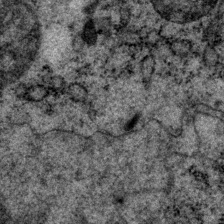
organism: P. pacificus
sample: Pharynx